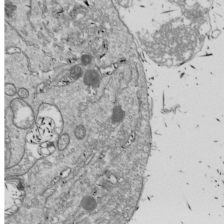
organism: Drosophila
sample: Cell division; meiosis; drosophila spermatocytes